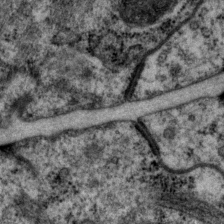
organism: P. pacificus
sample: Pharynx